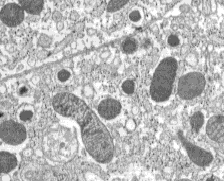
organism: C57BL Mouse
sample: Pancreatic islet